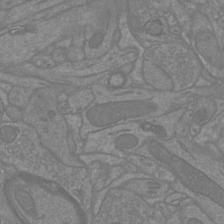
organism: Mouse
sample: Cortical neurons